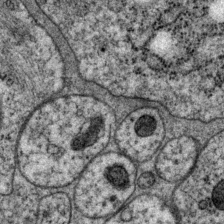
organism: P. pacificus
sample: Pharynx